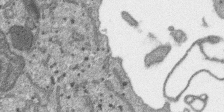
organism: Human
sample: Lung epithelial cells infected with SARS-CoV-2